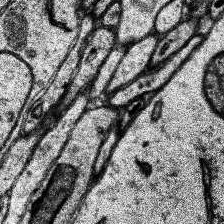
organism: Human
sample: Temporal Lobe